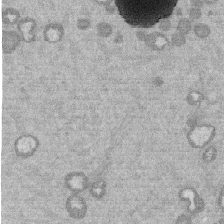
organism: Mouse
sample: Dividing mouse embryo 1 cell stage